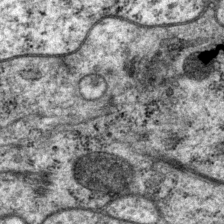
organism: P. pacificus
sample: Pharynx